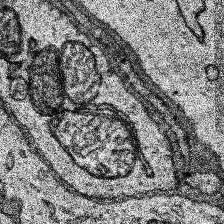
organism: Human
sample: Temporal Lobe